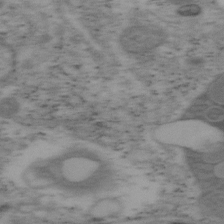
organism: Mouse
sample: OT-I killer T cells with ID8 ovarian cancer cells